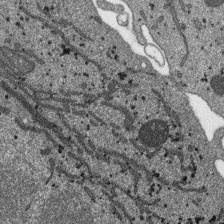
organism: Human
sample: Lung epithelial cells infected with SARS-CoV-2